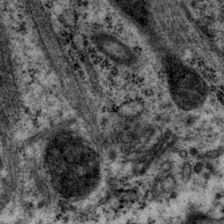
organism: P. pacificus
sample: Pharynx